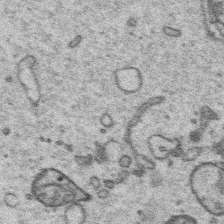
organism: Platynereis dumerilii